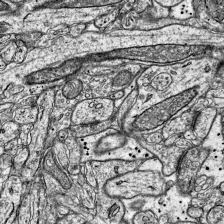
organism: Mouse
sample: Visual Cortex